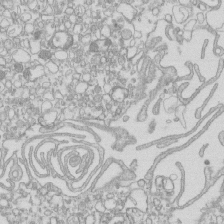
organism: Mouse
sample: Macrophages